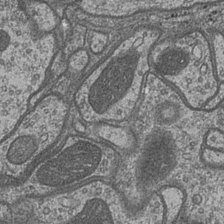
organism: Drosophila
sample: Optic medulla